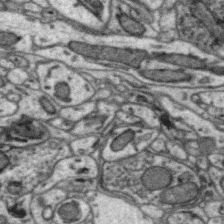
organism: Zebra finch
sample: Brain